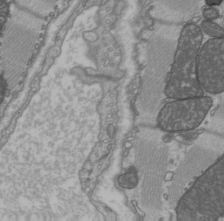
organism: C57BL Mouse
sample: Heart